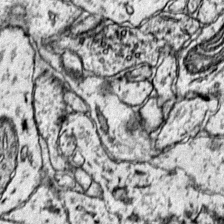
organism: Mouse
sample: Primary visual cortex